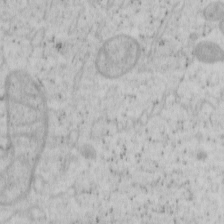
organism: Human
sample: HeLa cells